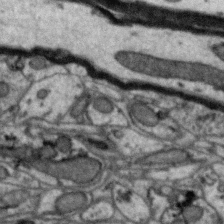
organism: Zebra finch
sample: Brain